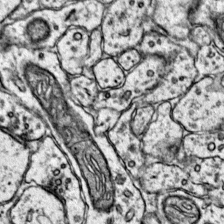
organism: Mouse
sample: Primary visual cortex